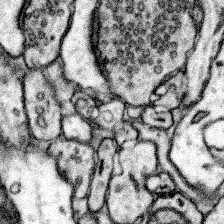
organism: Mouse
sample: Somatosensory cortex neuropil